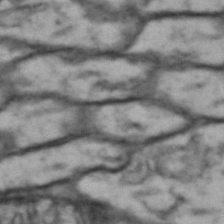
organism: Drosophila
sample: Brain